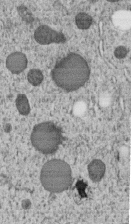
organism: C. elegans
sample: C. elegans embryo early stage